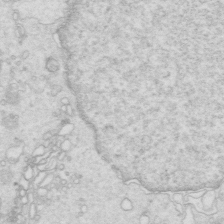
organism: Mouse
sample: Multiciliated cells